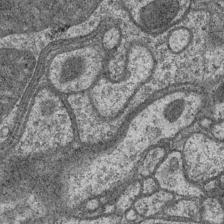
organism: Drosophila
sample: Optic medulla